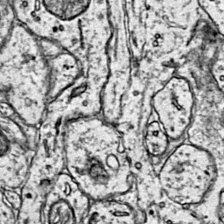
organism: Mouse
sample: Primary visual cortex